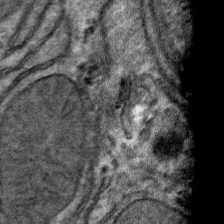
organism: Mouse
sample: Mouse hepatocytes